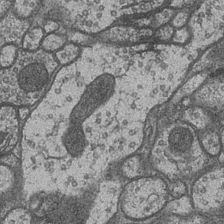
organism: Drosophila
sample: Optic medulla